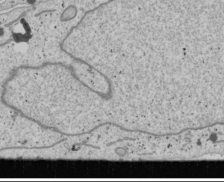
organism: Human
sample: Mitochondria in U2OS cells